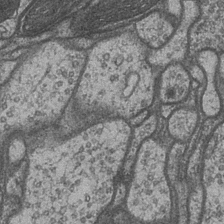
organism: Drosophila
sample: Optic medulla